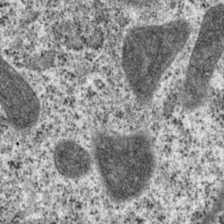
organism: P. pacificus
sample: Pharynx